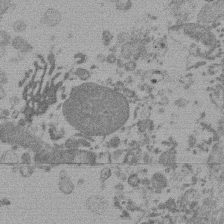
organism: Mouse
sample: Dividing mouse embryo 1 cell stage